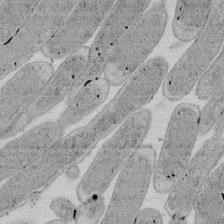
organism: E. coli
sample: Bacterial nucleoid